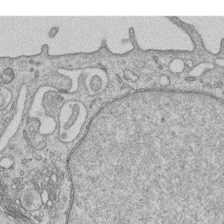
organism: Human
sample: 1205lu cells